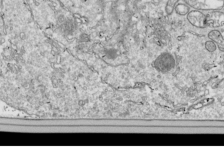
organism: Drosophila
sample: Cell division; meiosis; drosophila spermatocytes